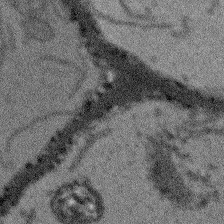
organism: Arabidopsis thaliana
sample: Root tip